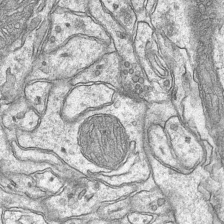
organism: Mouse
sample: CA1 Hippocampus